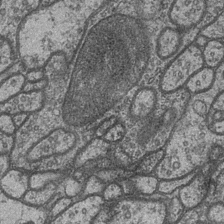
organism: Drosophila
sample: Optic medulla